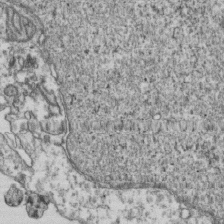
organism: Human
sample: Activated Jurkat CD4+ T cells